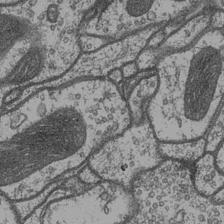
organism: Drosophila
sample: Optic medulla